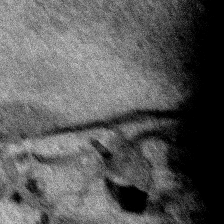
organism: Human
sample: Mitochondria in HCT116 cells